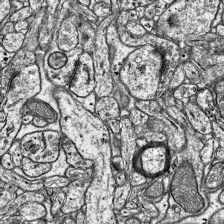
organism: Mouse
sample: Visual Cortex